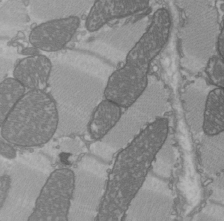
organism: C57BL Mouse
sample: Heart